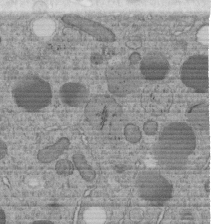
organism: C. elegans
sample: C. elegans embryo early stage